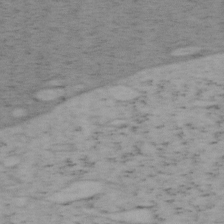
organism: Mouse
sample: OT-I killer T cells with ID8 ovarian cancer cells